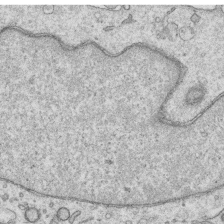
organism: Human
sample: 1205lu cells